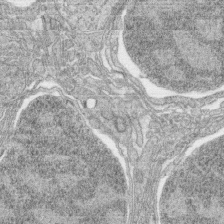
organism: Zebrafish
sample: synaptic ribbons in rod cells and cone cells